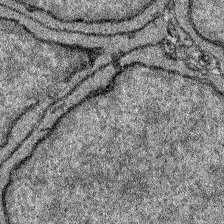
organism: Zebrafish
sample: Larval olfactory bulb